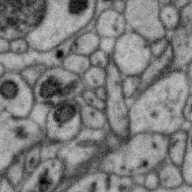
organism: Zebra finch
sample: Brain